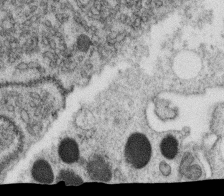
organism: C. elegans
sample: C. elegans oocyte; sperm cells